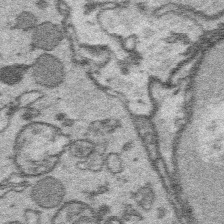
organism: Platynereis dumerilii